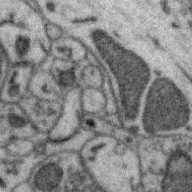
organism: Zebra finch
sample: Brain